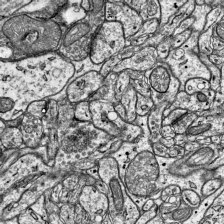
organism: Mouse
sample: Visual Cortex